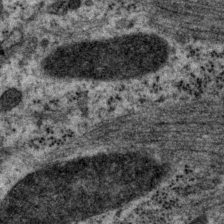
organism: P. pacificus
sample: Pharynx